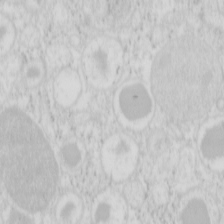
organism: Mouse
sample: Pancreas